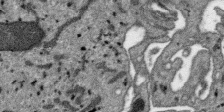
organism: Human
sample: Lung epithelial cells, uninfected (mock) control